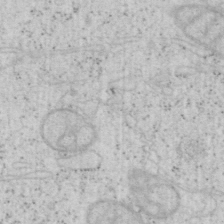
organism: Human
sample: HeLa cells